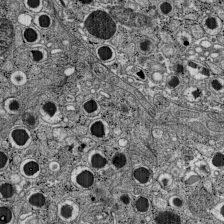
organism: C57BL Mouse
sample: Pancreatic islet